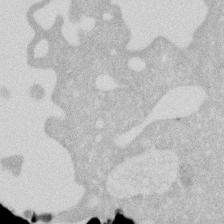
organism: Human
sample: HIV infected U937 cells